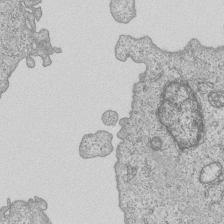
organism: Human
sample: MDA-MB-231 cells